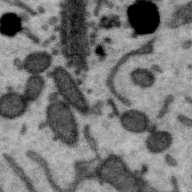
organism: Zebra finch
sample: Brain